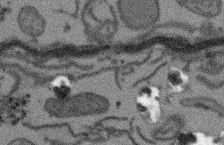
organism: Arabidopsis thaliana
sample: Root tip